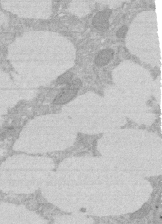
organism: Rat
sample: Salivary granule